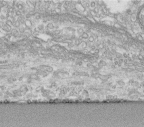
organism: Human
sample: Centriole in fibroblast cells